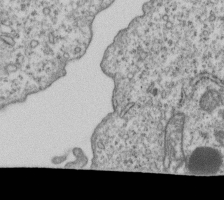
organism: Human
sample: MDA-MB-231 cells